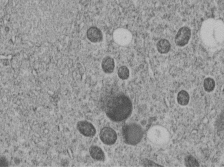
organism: C. elegans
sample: C. elegans embryo early stage